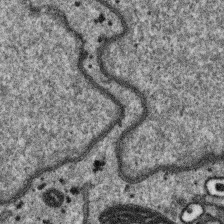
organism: Human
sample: Lung epithelial cells infected with SARS-CoV-2